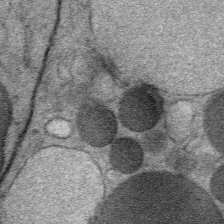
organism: Mouse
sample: Mouse Salivary gland